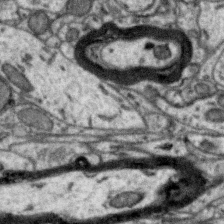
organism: Zebra finch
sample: Brain